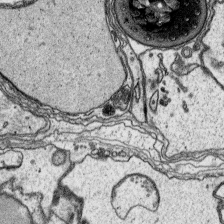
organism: Platynereis dumerilii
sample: Parapodia